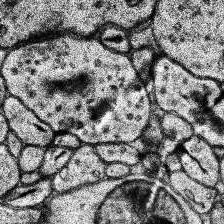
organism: Human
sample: Temporal Lobe